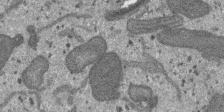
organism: Human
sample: Lung epithelial cells infected with SARS-CoV-2